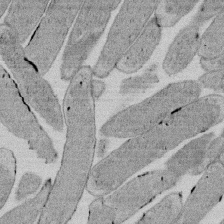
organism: E. coli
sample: Bacterial nucleoid